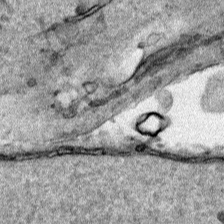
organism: Human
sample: Mitochondria in HCT116 cells